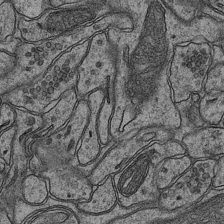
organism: Mouse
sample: CA1 Hippocampus